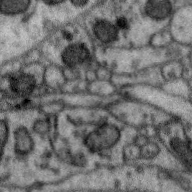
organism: Zebra finch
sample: Brain